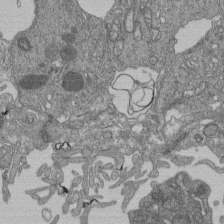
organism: Human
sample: Retinal organoid Rod and Cone cells